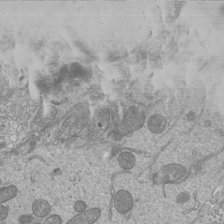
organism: Mouse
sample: Cilia; mouse epididymis